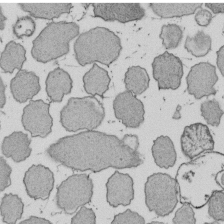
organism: E. coli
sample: Bacterial nucleoid